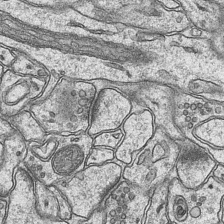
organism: Mouse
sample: CA1 Hippocampus